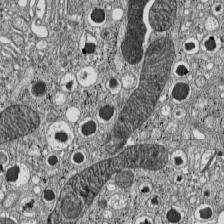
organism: C57BL Mouse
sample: Pancreatic islet